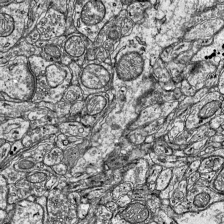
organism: Mouse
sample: Visual Cortex